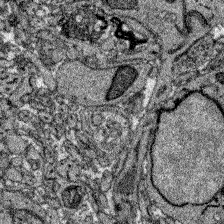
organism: Zebrafish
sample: Larval olfactory bulb